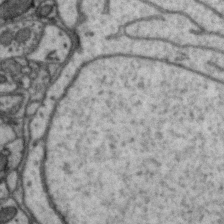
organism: Zebra finch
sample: Brain